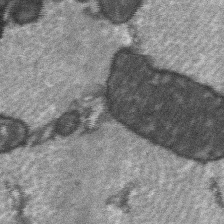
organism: C57BL Mouse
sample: Soleus